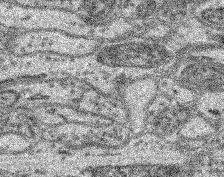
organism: Mouse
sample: Retina